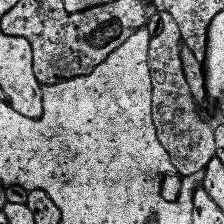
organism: Human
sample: Temporal Lobe